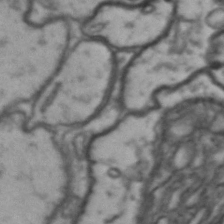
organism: Drosophila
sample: Brain